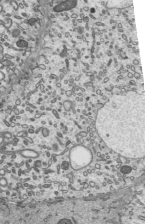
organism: Mouse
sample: Mouse epididymis efferent ductule cilia